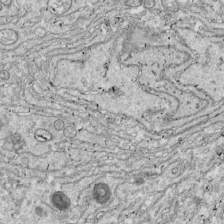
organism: Drosophila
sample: Cell division; meiosis; drosophila spermatocytes